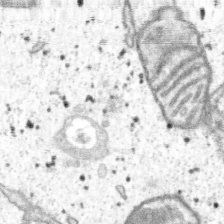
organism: Human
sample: HeLa cells